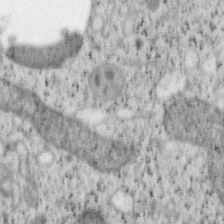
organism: Mouse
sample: OT-I killer T cells with ID8 ovarian cancer cells